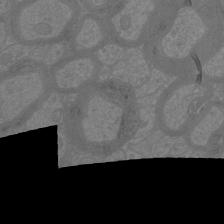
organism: Mouse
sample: Cortical neurons